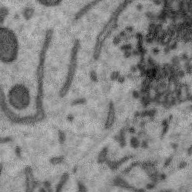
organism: Zebra finch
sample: Brain